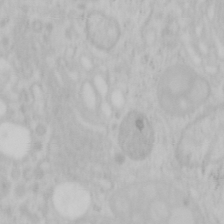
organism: Mouse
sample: OT-I killer T cells with ID8 ovarian cancer cells